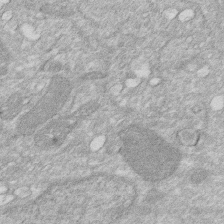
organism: Human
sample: HIV infected U937 cells